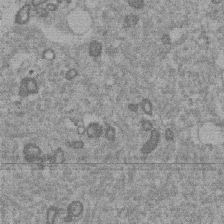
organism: Mouse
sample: Dividing mouse embryo 1 cell stage